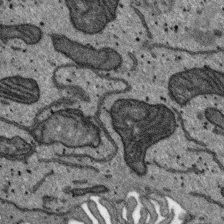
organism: Human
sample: Lung epithelial cells, uninfected (mock) control